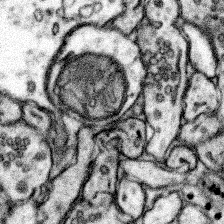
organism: Mouse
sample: Somatosensory cortex neuropil